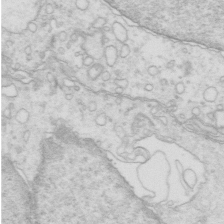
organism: Mouse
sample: Multiciliated cells